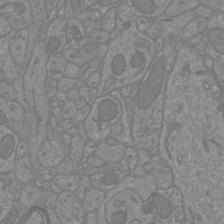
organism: Mouse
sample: Cortical neurons